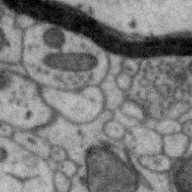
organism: Zebra finch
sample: Brain